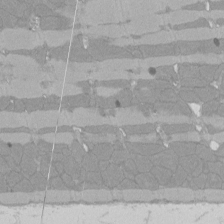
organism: Rat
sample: Left ventricle